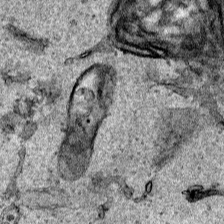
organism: Human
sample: Mitochondria in HCT116 cells